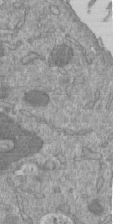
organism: Mouse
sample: ED-1 cell nuclei; centrioles